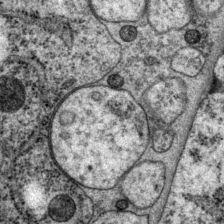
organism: P. pacificus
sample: Pharynx